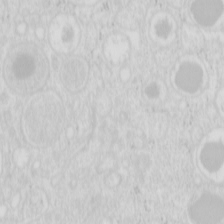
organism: Mouse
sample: Pancreas